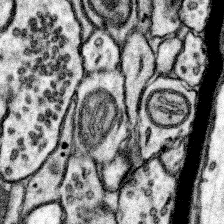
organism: Mouse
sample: Somatosensory cortex neuropil